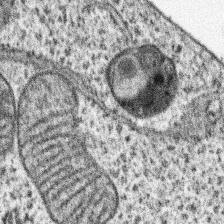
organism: Human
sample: HeLa cells